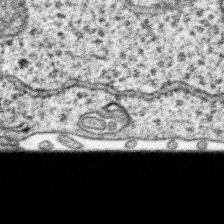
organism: Human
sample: HeLa cells